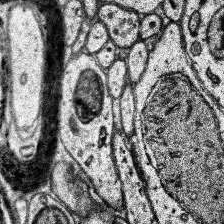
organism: Human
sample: Temporal Lobe